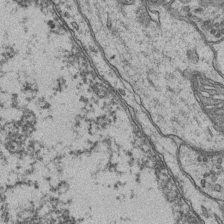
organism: Mouse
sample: CA1 Hippocampus